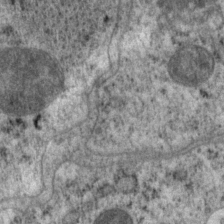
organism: P. pacificus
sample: Pharynx